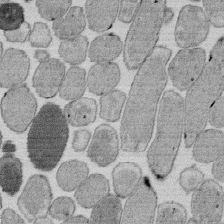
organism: E. coli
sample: Bacterial nucleoid